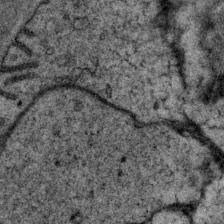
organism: P. pacificus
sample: Pharynx